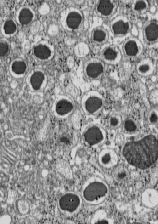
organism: C57BL Mouse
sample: Pancreatic islet